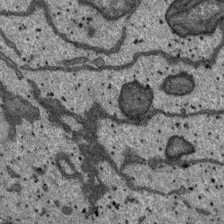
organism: Human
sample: Lung epithelial cells, uninfected (mock) control